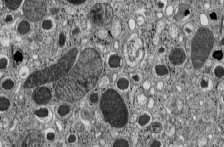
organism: C57BL Mouse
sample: Pancreatic islet